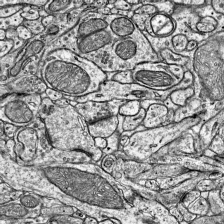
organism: Mouse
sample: Visual Cortex